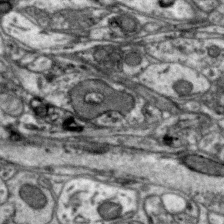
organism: Zebra finch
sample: Brain